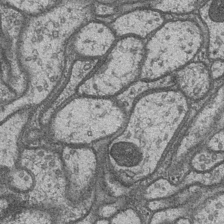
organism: Drosophila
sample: Optic medulla